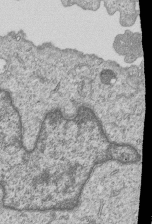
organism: Human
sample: MDA-MB-231 cells